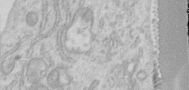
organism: Human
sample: Centriole in RPE cells